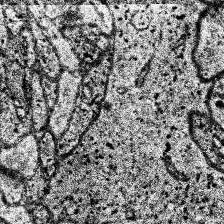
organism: Human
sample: Temporal Lobe